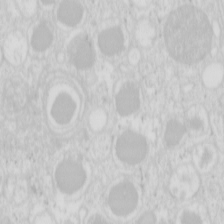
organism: Mouse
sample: Pancreas